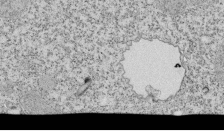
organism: Tetrahymena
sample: Cilia in tetrahymena